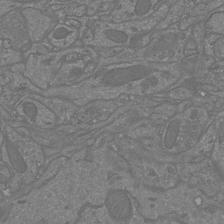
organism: Mouse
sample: Cortical neurons